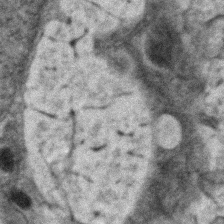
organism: Zebrafish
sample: Zebrafish embryo